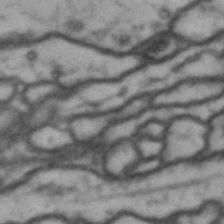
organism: Drosophila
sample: Brain